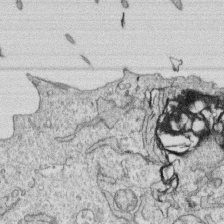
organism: Human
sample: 1205lu cells